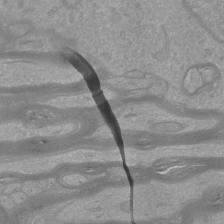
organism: Mouse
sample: Cortical neurons